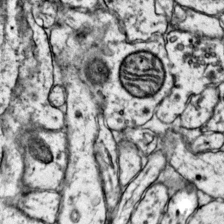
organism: Mouse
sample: Primary visual cortex